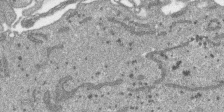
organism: Human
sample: Lung epithelial cells infected with SARS-CoV-2